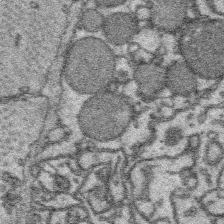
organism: Platynereis dumerilii